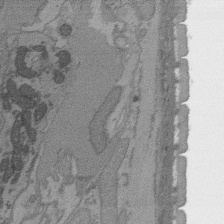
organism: C. elegans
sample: AFD neurons C. elegans